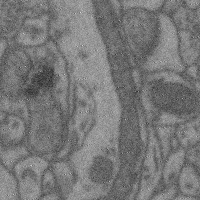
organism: Mouse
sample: Cerebral cortex